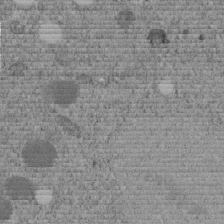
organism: C. elegans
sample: C. elegans embryo early stage